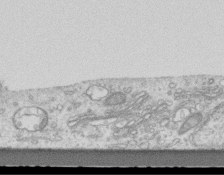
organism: Mouse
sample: Centriole in ependymal cells